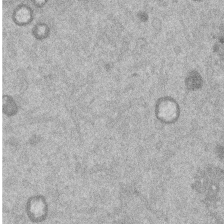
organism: Mouse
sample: Dividing mouse embryo 1 cell stage